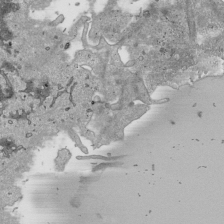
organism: Human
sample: Mitochondria in HCT116 cells